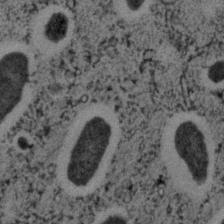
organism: C. elegans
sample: C. elegans embryo